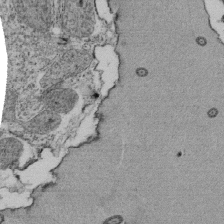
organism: Tetrahymena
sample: Cilia in tetrahymena